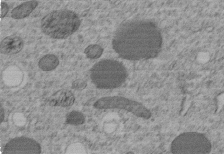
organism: C. elegans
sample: C. elegans embryo early stage